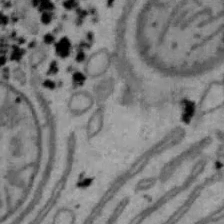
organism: Mouse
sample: Liver